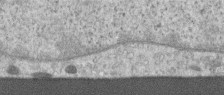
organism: Human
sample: Centriole in RPE cells